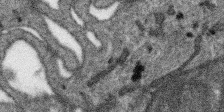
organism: Human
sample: Lung epithelial cells infected with SARS-CoV-2